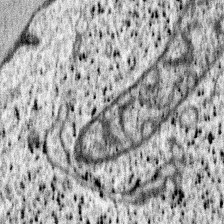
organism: Human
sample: HeLa cells